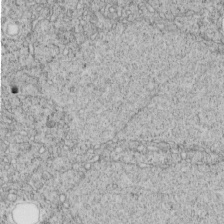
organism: C. elegans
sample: C. elegans embryo early stage